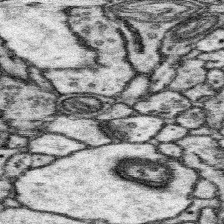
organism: Mouse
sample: Somatosensory cortex neuropil